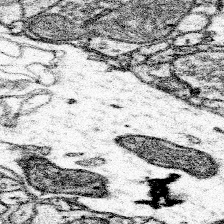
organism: Mouse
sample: Somatosensory cortex neuropil